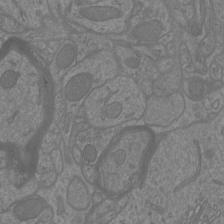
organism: Mouse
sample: Cortical neurons